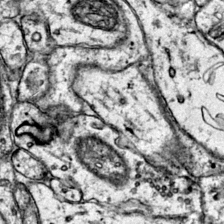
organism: Mouse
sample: Primary visual cortex